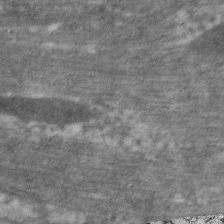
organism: C. elegans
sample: Pharynx